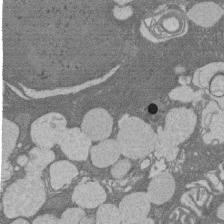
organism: Rat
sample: Salivary granule